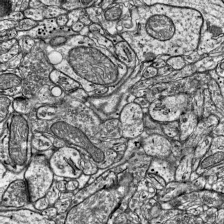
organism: Mouse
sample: Visual Cortex